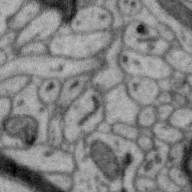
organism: Zebra finch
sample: Brain